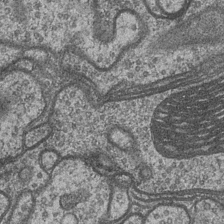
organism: Drosophila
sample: Optic medulla